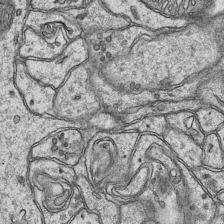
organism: Mouse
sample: CA1 Hippocampus